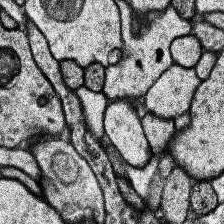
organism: Human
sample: Temporal Lobe